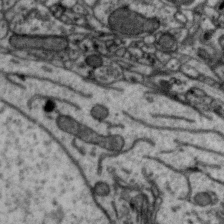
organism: Zebra finch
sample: Brain